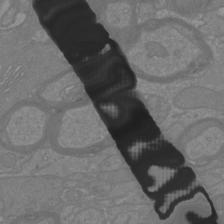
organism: Mouse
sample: Cortical neurons